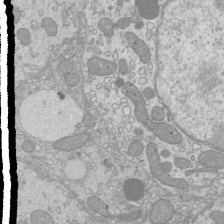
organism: Mouse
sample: Cilia; mouse epididymis